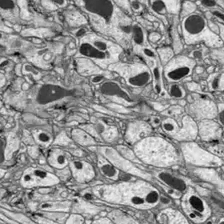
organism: Drosophila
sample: Optic lobe